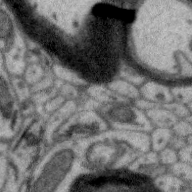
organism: Zebra finch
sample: Brain